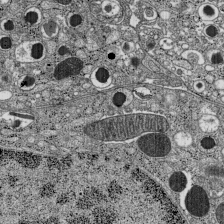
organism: C57BL Mouse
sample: Pancreatic islet